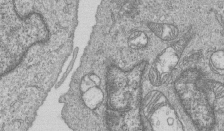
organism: Human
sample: MDA-MB-231 cells